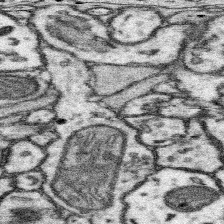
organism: Mouse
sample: Somatosensory cortex neuropil